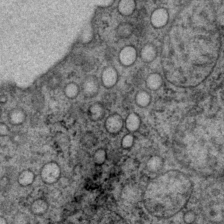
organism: P. pacificus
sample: Pharynx